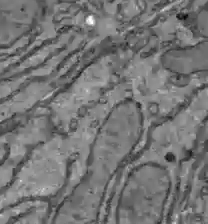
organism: C57BL Mouse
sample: Liver